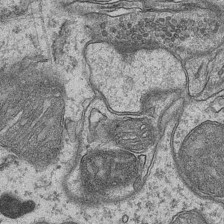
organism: Mouse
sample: CA1 Hippocampus